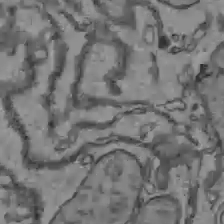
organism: C57BL Mouse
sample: Liver